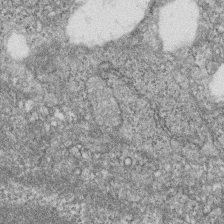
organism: Zebrafish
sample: Cilia; retinal pigment epithelium